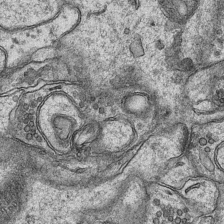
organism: Mouse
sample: CA1 Hippocampus